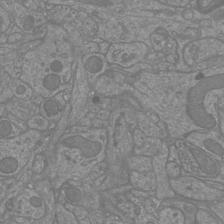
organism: Mouse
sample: Cortical neurons